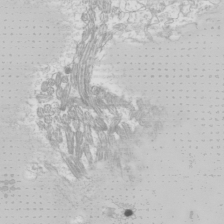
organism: Mouse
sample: Cilia; mouse epididymis